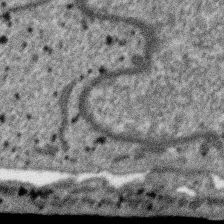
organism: Human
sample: Lung epithelial cells infected with SARS-CoV-2